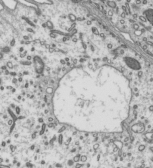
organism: Mouse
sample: Mouse epididymis efferent ductule cilia